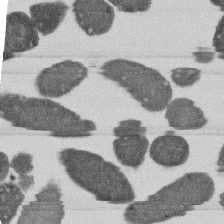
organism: E. coli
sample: Bacterial nucleoid